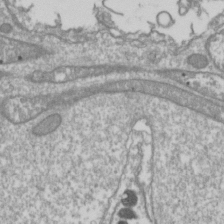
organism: Drosophila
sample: Cell division; meiosis; drosophila spermatocytes